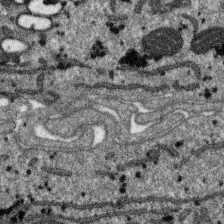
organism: Human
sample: Lung epithelial cells infected with SARS-CoV-2